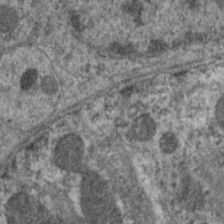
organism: C. elegans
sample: Pharynx